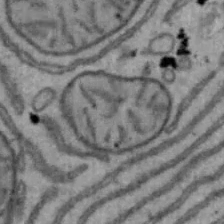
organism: Mouse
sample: Liver